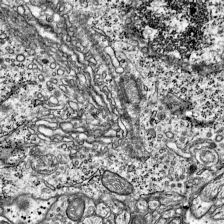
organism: Mouse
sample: Visual Cortex